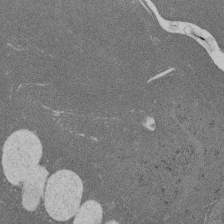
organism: Rat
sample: Salivary granule